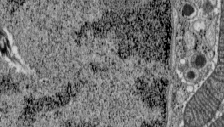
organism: C57BL Mouse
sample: Pancreatic islet